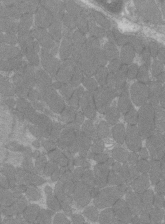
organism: C57BL Mouse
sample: Tibialis anterior muscle cell